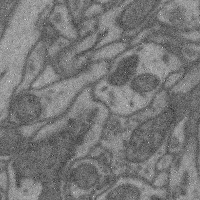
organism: Mouse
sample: Cerebral cortex